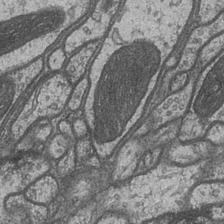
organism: Drosophila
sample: Optic medulla